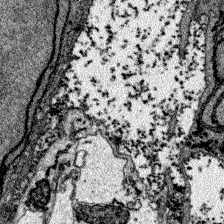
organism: Zebrafish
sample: Larval olfactory bulb